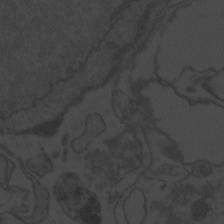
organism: Zebrafish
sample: Macrophage infected with Toxoplasma gondii